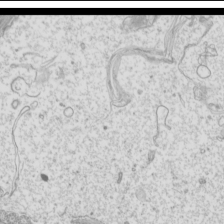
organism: Mouse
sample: Cilia; mouse epididymis